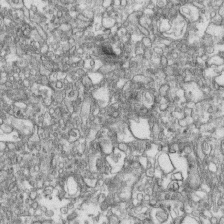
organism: Human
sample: CRL-1474